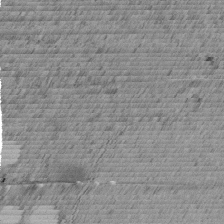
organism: C. elegans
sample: C. elegans embryo early stage